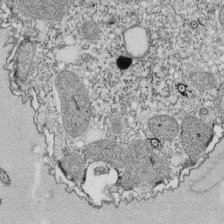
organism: Tetrahymena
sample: Cilia in tetrahymena